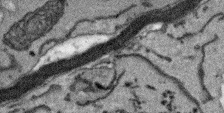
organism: Arabidopsis thaliana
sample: Root tip